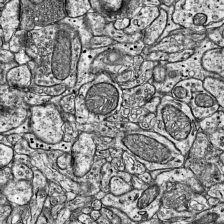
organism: Mouse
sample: Visual Cortex